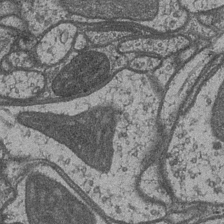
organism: Drosophila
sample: Optic medulla